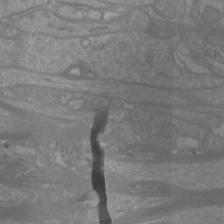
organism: Mouse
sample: Cortical neurons